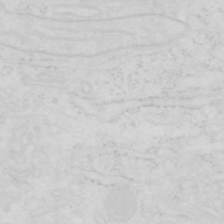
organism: Human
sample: SUM-159 cell